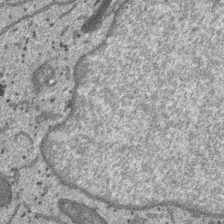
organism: Human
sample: Lung epithelial cells infected with SARS-CoV-2